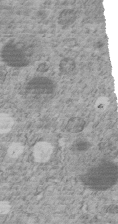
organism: C. elegans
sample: C. elegans embryo early stage